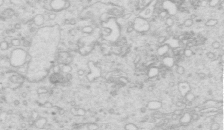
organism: Mouse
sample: Multiciliated cells